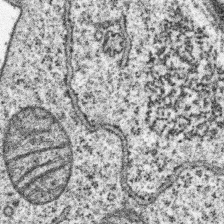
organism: Human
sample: HeLa cells